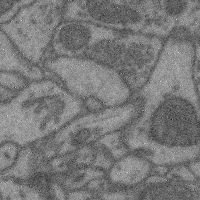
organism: Mouse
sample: Cerebral cortex